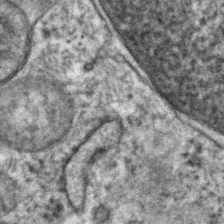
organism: Human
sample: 1205lu cells